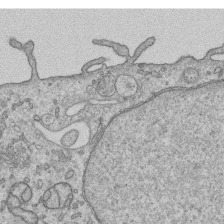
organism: Human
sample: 1205lu cells